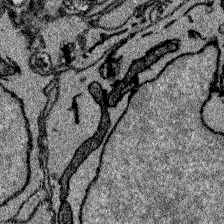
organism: Zebrafish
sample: Larval olfactory bulb